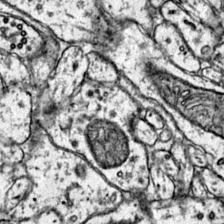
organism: Mouse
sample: Primary visual cortex